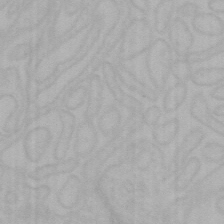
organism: Mouse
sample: Choroid plexus